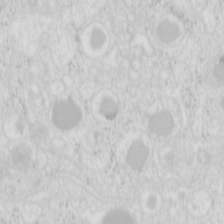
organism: Mouse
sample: Pancreas